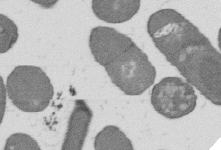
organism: B. subtilis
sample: Bacterial spore